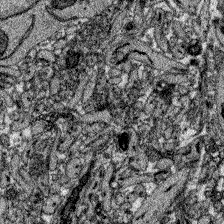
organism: Zebrafish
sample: Larval olfactory bulb